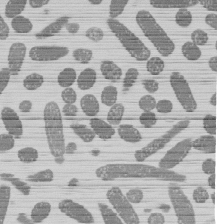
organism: E. coli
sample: Bacterial nucleoid